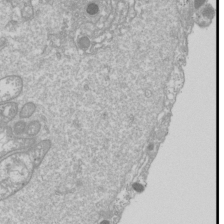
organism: Drosophila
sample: Cell division; meiosis; drosophila spermatocytes